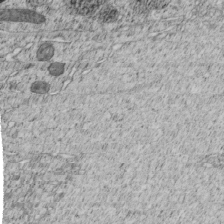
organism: C. elegans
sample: C. elegans embryo early stage